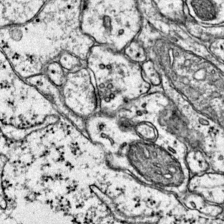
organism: Mouse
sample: Primary visual cortex